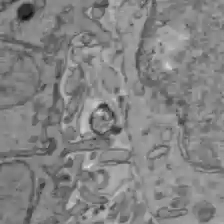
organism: C57BL Mouse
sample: Liver